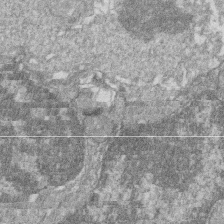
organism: Zebrafish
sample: Cilia; retinal pigment epithelium